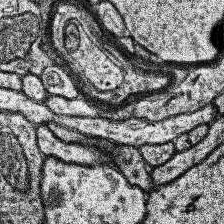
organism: Human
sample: Temporal Lobe